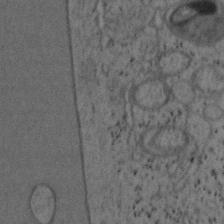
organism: Human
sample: HeLa cells